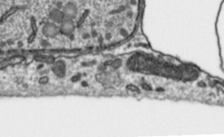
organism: Toxoplasma gondii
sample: Parasites in a vacuole inside a host cell